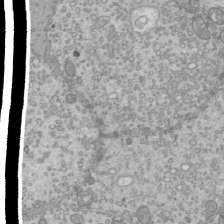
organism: Mouse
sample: Cilia; mouse epididymis